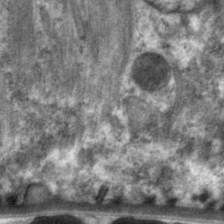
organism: C. elegans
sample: Pharynx